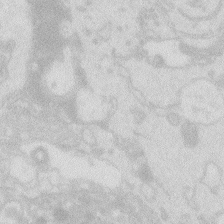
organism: Zebrafish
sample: Macrophage